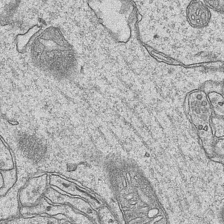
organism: Mouse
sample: CA1 Hippocampus